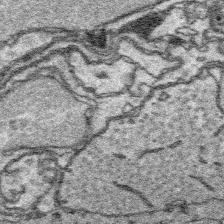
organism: Platynereis dumerilii